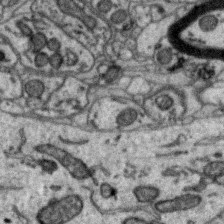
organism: Zebra finch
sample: Brain